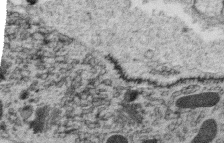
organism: C. elegans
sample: C. elegans oocyte; sperm cells